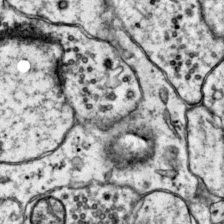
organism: Mouse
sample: Primary visual cortex